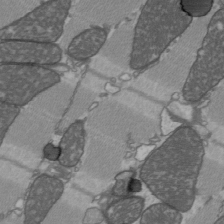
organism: C57BL Mouse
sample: Heart